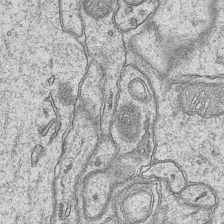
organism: Mouse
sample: CA1 Hippocampus